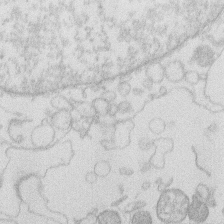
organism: Human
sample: Macrophage cells